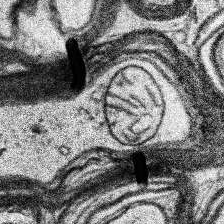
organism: Human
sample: Temporal Lobe